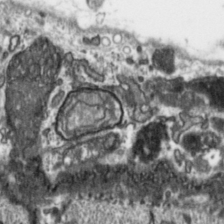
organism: Toxoplasma gondii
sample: Parasites in a vacuole inside a host cell